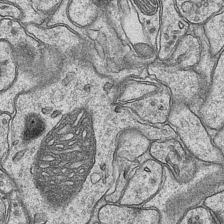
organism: Mouse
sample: CA1 Hippocampus